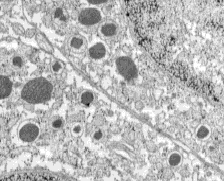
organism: C57BL Mouse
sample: Pancreatic islet